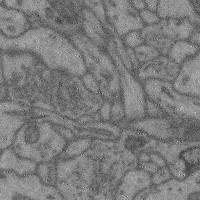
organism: Mouse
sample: Cerebral cortex